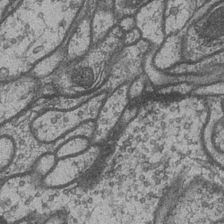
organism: Drosophila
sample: Optic medulla